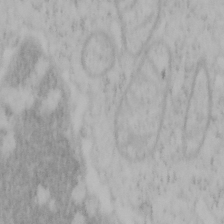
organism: Mouse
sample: OT-I killer T cells with ID8 ovarian cancer cells